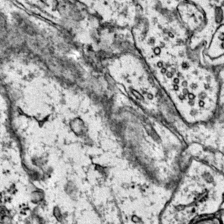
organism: Mouse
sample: Primary visual cortex